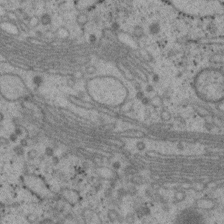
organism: Human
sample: HeLa cells